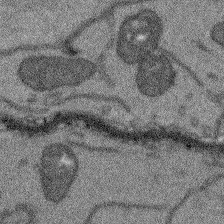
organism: Arabidopsis thaliana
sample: Root tip